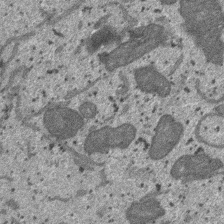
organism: Human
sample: Lung epithelial cells infected with SARS-CoV-2